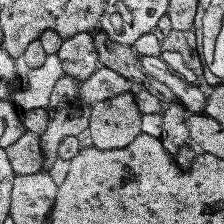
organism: Human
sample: Temporal Lobe